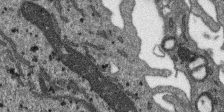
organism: Human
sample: Lung epithelial cells infected with SARS-CoV-2